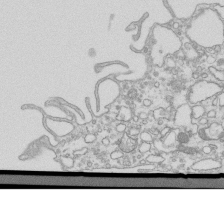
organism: Mouse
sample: Macrophages